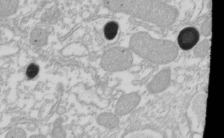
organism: Xenopus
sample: Cilia; centrioles in frog embryo cells